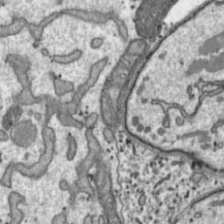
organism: Toxoplasma gondii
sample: Parasites in a vacuole inside a host cell